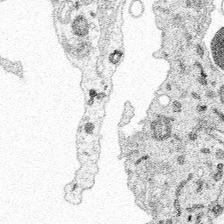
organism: Spongilla lacustris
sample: Multiple